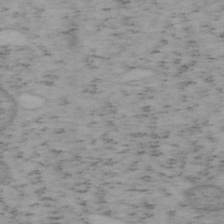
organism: Mouse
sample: OT-I killer T cells with ID8 ovarian cancer cells